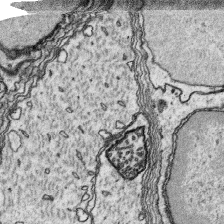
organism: Platynereis dumerilii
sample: Parapodia